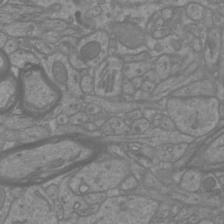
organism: Mouse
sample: Cortical neurons